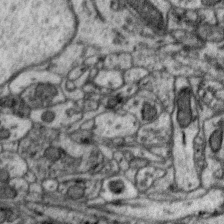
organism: Zebra finch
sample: Brain